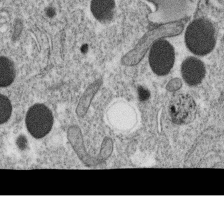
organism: C. elegans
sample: C. elegans oocyte; sperm cells